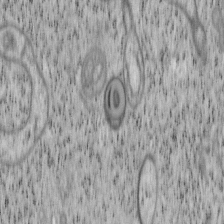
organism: Human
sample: HeLa cells